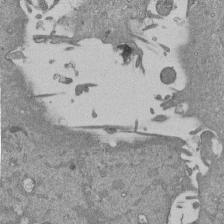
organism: Mouse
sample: ED-1 cell nuclei; centrioles